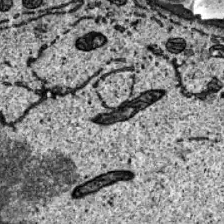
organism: Human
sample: HeLa cells